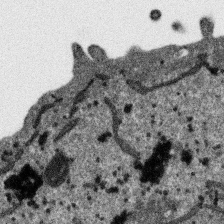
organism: Human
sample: Lung epithelial cells infected with SARS-CoV-2